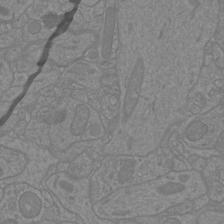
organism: Mouse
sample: Cortical neurons